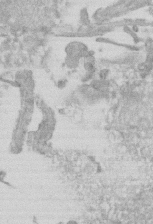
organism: Mouse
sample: Centriole in ependymal cells